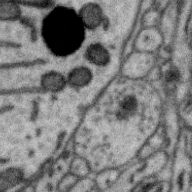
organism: Zebra finch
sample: Brain